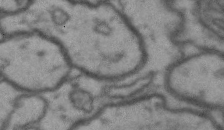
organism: Drosophila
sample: Brain